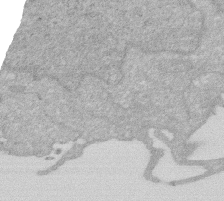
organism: Human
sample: HIV infected U937 cells